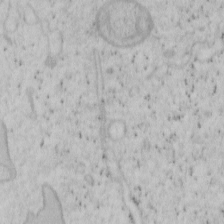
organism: Human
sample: HeLa cells